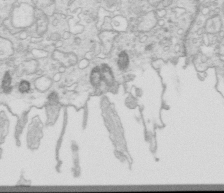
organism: Mouse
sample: Multiciliated cells